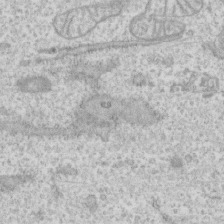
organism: Human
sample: CRL-1474